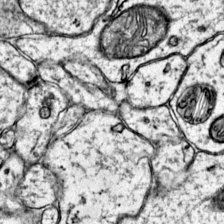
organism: Mouse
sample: Primary visual cortex